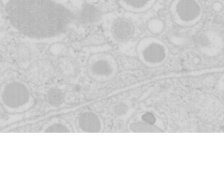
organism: Mouse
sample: Pancreas